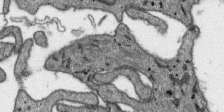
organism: Human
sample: Lung epithelial cells, uninfected (mock) control